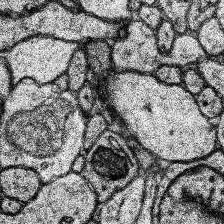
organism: Human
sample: Temporal Lobe